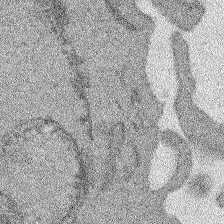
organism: Human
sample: HeLa cells